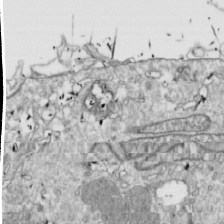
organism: Drosophila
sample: Cell division; meiosis; drosophila spermatocytes